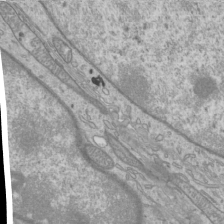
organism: Mouse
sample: Cilia; mouse epididymis